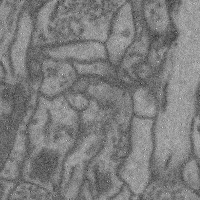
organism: Mouse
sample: Cerebral cortex